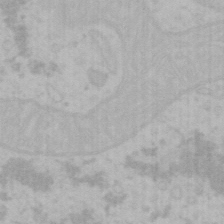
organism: Mouse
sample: Choroid plexus